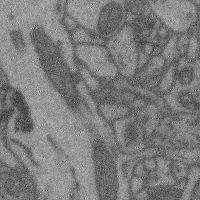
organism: Mouse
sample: Cerebral cortex